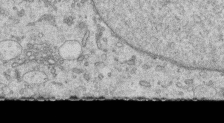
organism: Human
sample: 1205lu cells